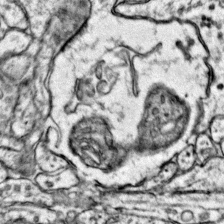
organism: Mouse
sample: Primary visual cortex